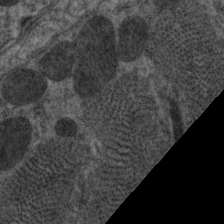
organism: C. elegans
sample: Pharynx